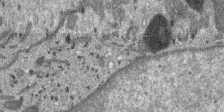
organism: Human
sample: Lung epithelial cells infected with SARS-CoV-2